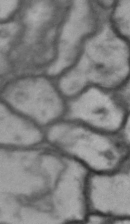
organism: Drosophila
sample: Brain